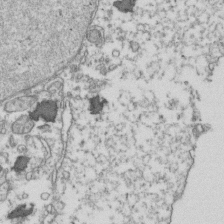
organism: Human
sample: Activated Jurkat CD4+ T cells